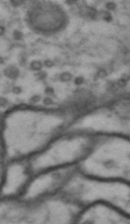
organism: Drosophila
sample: Brain